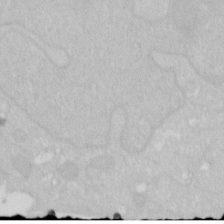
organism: Human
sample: HIV infected U937 cells